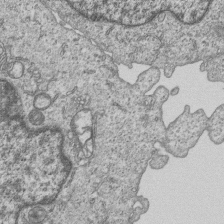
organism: Human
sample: MDA-MB-231 cells